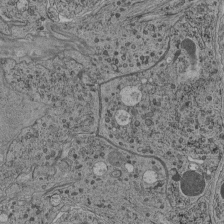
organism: C. elegans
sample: C. elegans pharynx